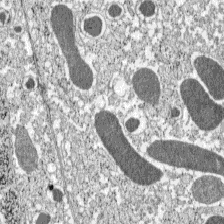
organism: C57BL Mouse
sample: Pancreatic islet